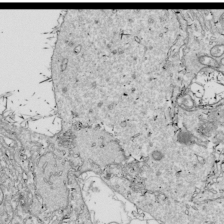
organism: Drosophila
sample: Cell division; meiosis; drosophila spermatocytes